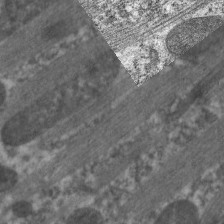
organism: C. elegans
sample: Pharynx